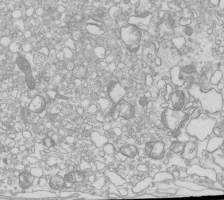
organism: Mouse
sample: Macrophages